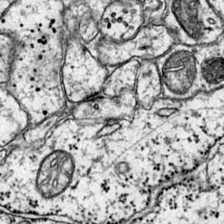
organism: Mouse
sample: Primary visual cortex